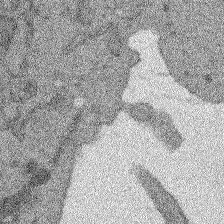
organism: Human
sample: HeLa cells